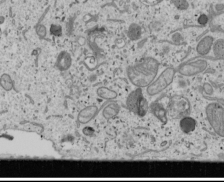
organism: Human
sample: Mitochondria in U2OS cells